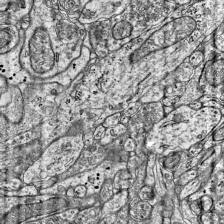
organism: Mouse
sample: Visual Cortex